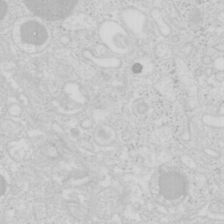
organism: Mouse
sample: Pancreas